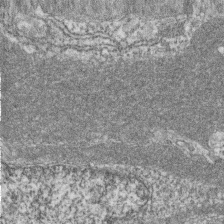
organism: Zebrafish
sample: Cilia; retinal pigment epithelium